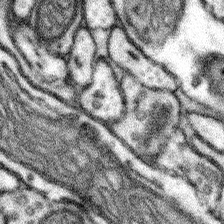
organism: Mouse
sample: Somatosensory cortex neuropil